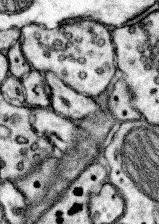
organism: Mouse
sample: Somatosensory cortex neuropil